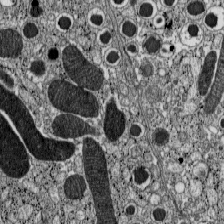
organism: C57BL Mouse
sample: Pancreatic islet